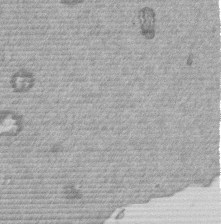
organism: Mouse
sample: Dividing mouse embryo 1 cell stage